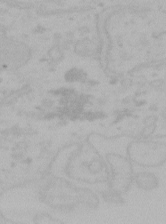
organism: Mouse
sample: Choroid plexus